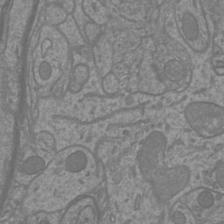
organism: Mouse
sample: Cortical neurons